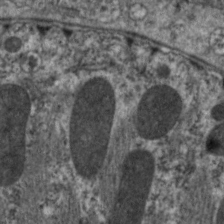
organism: C. elegans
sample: Pharynx